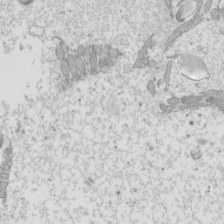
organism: Mouse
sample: Cilia; mouse epididymis